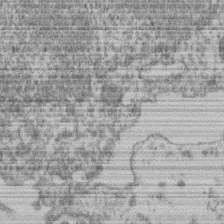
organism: Mouse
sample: T cell stromal cell synapse